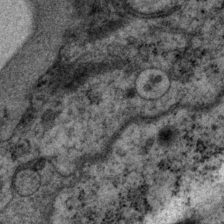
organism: P. pacificus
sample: Pharynx